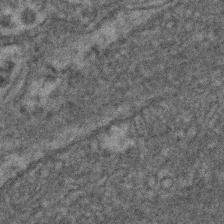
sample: Kidney